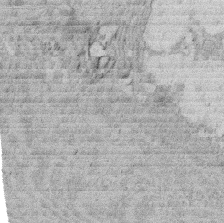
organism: Rat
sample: Salivary granule